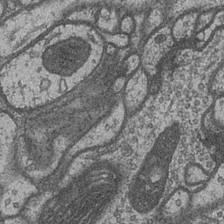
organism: Drosophila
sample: Optic medulla